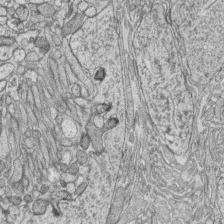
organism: Zebrafish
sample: synaptic ribbons in rod cells and cone cells